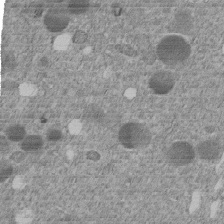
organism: C. elegans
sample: C. elegans embryo early stage